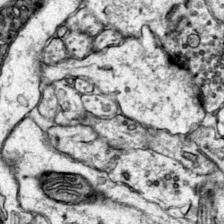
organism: Mouse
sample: Primary visual cortex